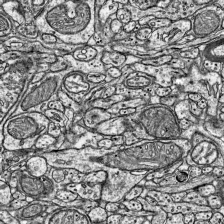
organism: Mouse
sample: Visual Cortex